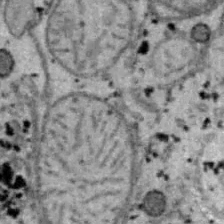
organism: Mouse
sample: Liver from an obese (ob/ob) mouse